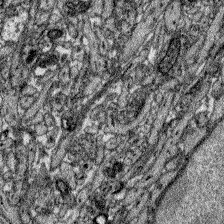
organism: Zebrafish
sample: Larval olfactory bulb